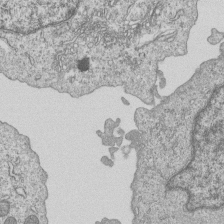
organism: Human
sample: MDA-MB-231 cells